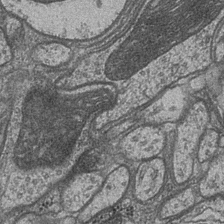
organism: Drosophila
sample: Optic medulla